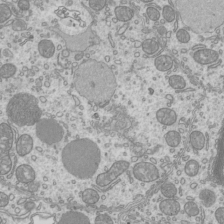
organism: Mouse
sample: Cilia; mouse epididymis